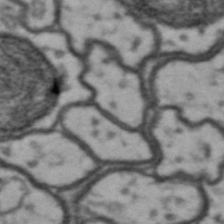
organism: Drosophila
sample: Brain